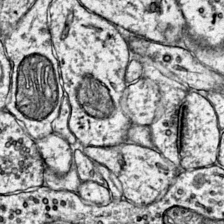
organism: Mouse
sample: Primary visual cortex